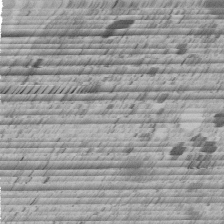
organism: C. elegans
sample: C. elegans embryo early stage